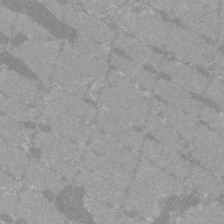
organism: C57BL Mouse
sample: Tibialis anterior muscle cell